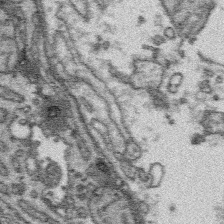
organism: Platynereis dumerilii